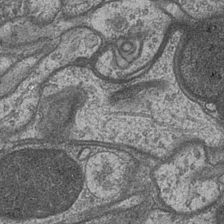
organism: Drosophila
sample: Optic medulla